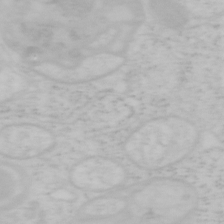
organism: Mouse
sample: OT-I killer T cells with ID8 ovarian cancer cells